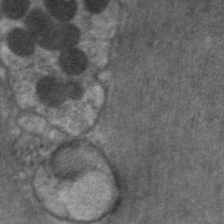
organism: C. elegans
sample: Pharynx